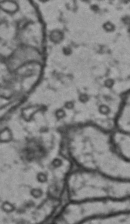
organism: Drosophila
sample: Brain